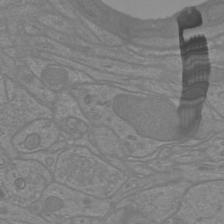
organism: Mouse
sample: Cortical neurons